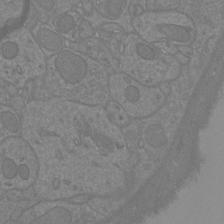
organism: Mouse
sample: Cortical neurons